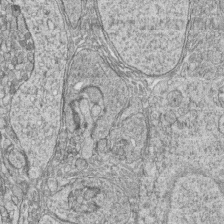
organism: Zebrafish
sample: synaptic ribbons in rod cells and cone cells